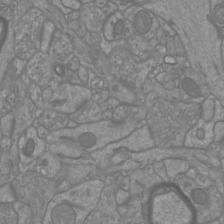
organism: Mouse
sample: Cortical neurons